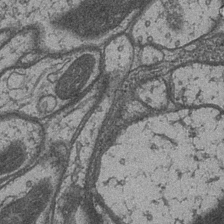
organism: Drosophila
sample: Optic medulla